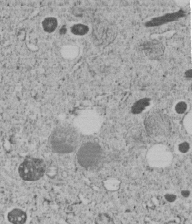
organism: C. elegans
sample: C. elegans embryo early stage